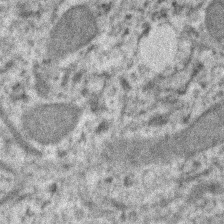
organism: Human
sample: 1205lu cells